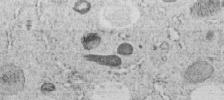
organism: C. elegans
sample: C. elegans embryo early stage